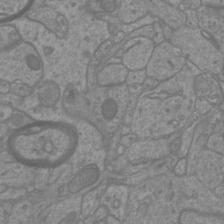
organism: Mouse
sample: Cortical neurons